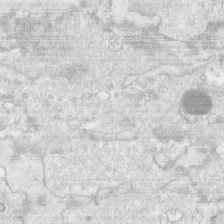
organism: Human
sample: CRL-1474